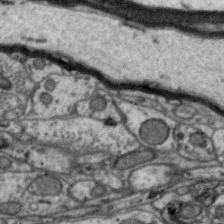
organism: Zebra finch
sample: Brain